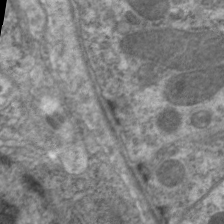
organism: C. elegans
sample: Pharynx